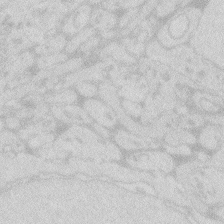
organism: Zebrafish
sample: Macrophage